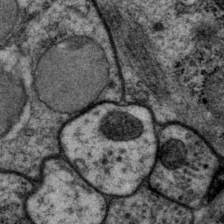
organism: P. pacificus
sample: Pharynx